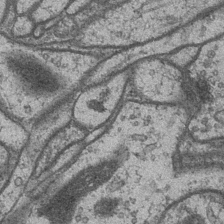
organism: Drosophila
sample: Optic medulla